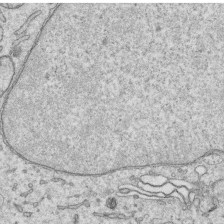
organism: Human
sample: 1205lu cells